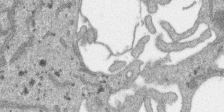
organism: Human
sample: Lung epithelial cells infected with SARS-CoV-2